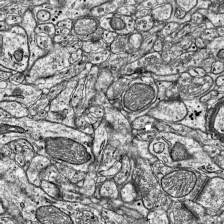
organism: Mouse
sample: Visual Cortex